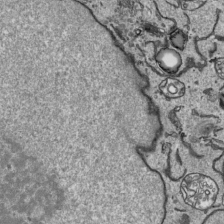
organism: Human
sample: Mitochondria in HCT116 cells